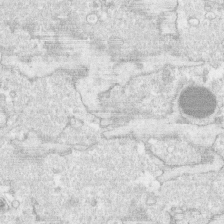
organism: Human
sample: CRL-1474